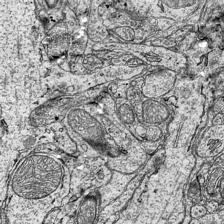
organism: Mouse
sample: Visual Cortex